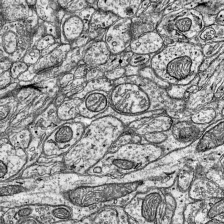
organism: Mouse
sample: Visual Cortex